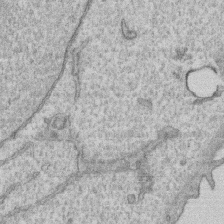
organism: Human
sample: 1205lu cells